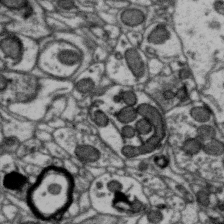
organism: Zebra finch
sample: Brain